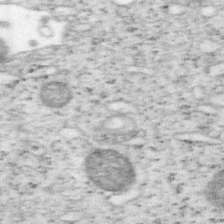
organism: Mouse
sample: OT-I killer T cells with ID8 ovarian cancer cells